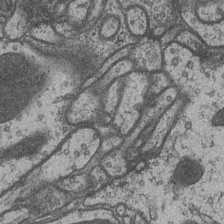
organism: Drosophila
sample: Optic medulla